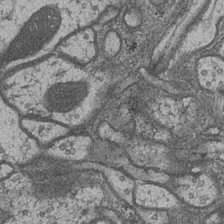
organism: Drosophila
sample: Optic medulla